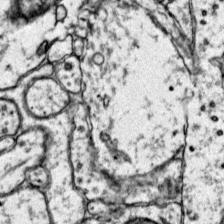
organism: Mouse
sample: Primary visual cortex